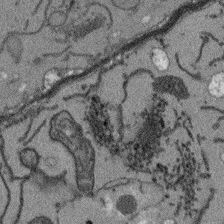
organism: Arabidopsis thaliana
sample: Root tip